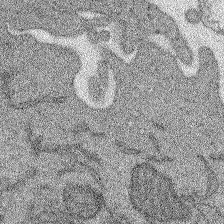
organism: Human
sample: HeLa cells